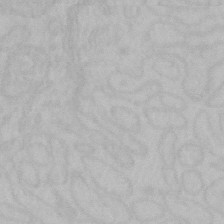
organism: Mouse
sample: Choroid plexus